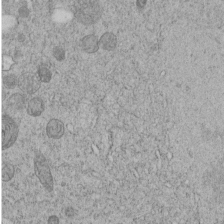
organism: C. elegans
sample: C. elegans embryo early stage